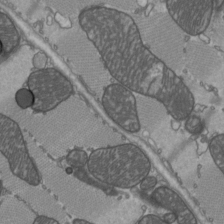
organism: C57BL Mouse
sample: Heart